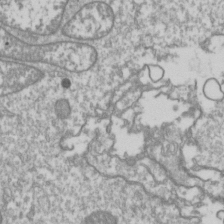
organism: Drosophila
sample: Cell division; meiosis; drosophila spermatocytes